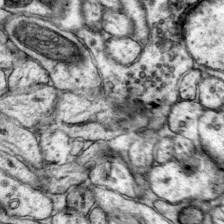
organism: Mouse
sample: Primary visual cortex